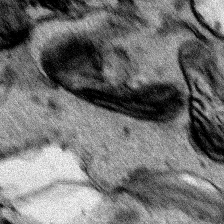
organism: Human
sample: Mitochondria in HCT116 cells